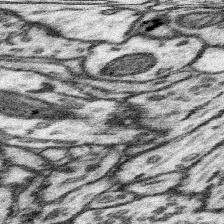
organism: Mouse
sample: Somatosensory cortex neuropil